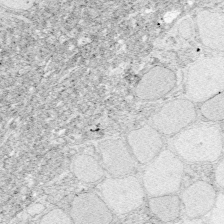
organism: Zebrafish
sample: Whole-Brain